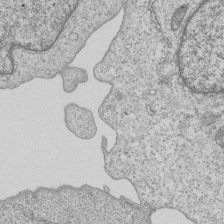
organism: Human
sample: MDA-MB-231 cells